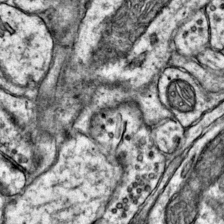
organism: Mouse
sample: Primary visual cortex